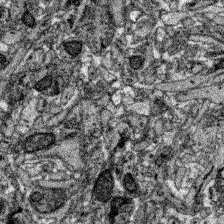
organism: Zebrafish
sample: Larval olfactory bulb